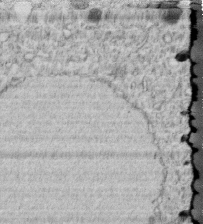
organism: C. elegans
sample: C. elegans embryo early stage